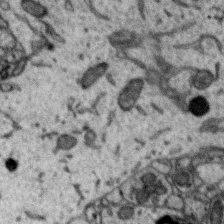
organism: Zebra finch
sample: Brain